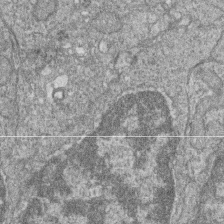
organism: Zebrafish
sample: Cilia; retinal pigment epithelium